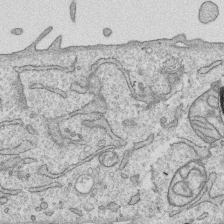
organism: Human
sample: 1205lu cells